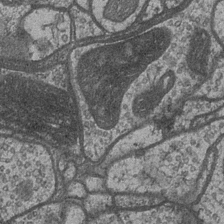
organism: Drosophila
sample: Optic medulla